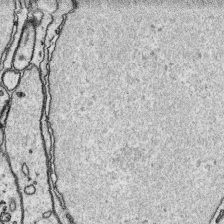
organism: Platynereis dumerilii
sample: Parapodia